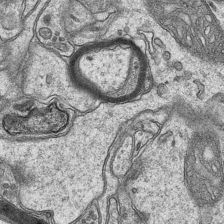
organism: Mouse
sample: CA1 Hippocampus